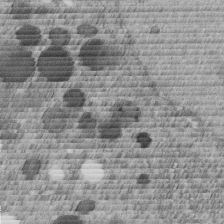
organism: C. elegans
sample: C. elegans embryo early stage